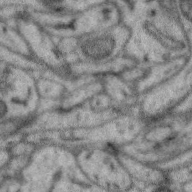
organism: Zebra finch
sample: Brain